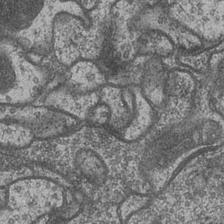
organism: Drosophila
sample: Optic medulla